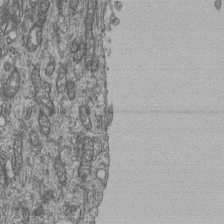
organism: Human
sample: Retinal organoid Rod and Cone cells